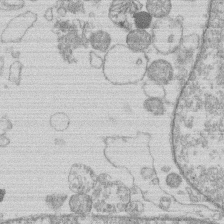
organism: Human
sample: Macrophage cells